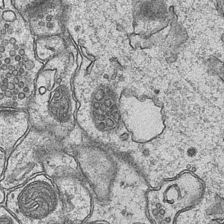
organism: Mouse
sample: CA1 Hippocampus